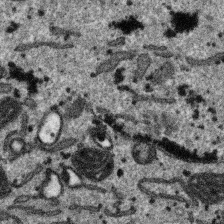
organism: Human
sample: Lung epithelial cells infected with SARS-CoV-2